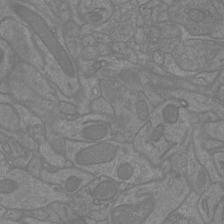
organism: Mouse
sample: Cortical neurons